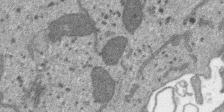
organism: Human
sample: Lung epithelial cells infected with SARS-CoV-2